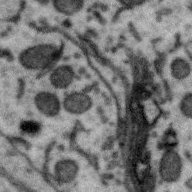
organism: Zebra finch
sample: Brain